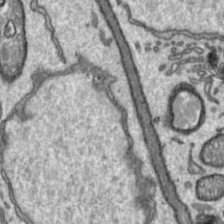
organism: Toxoplasma gondii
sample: Parasites in a vacuole inside a host cell